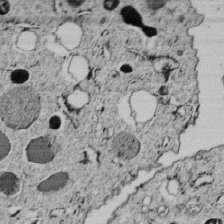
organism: C. elegans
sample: C. elegans embryo early stage